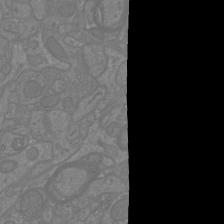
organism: Mouse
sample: Cortical neurons